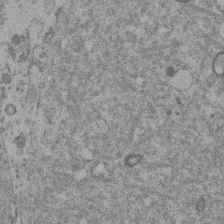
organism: Mouse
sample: Dividing mouse embryo 1 cell stage